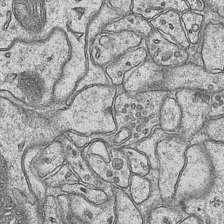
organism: Mouse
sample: CA1 Hippocampus